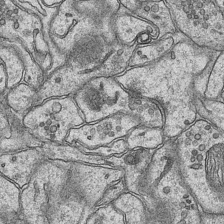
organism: Mouse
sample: CA1 Hippocampus